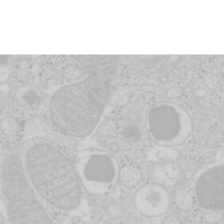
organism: Mouse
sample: Pancreas